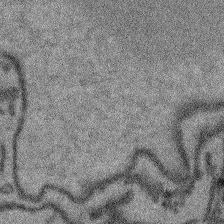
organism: Arabidopsis thaliana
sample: Root tip